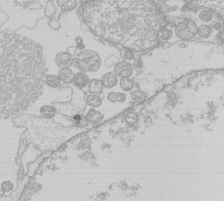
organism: Human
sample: Macrophage cells